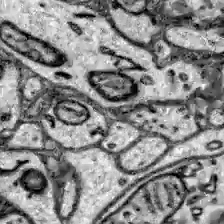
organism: Zebrafish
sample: Brain